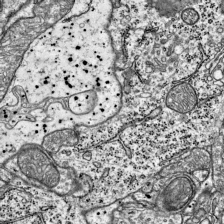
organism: Mouse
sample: Visual Cortex